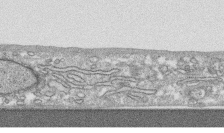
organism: Human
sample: CRL-1474